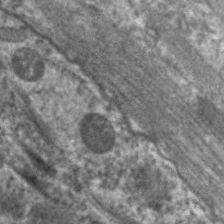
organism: C. elegans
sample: Pharynx